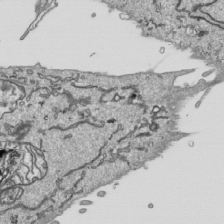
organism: Human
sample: Mitochondria in HCT116 cells